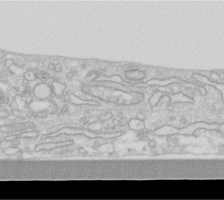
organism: Human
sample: Fibroblast cells